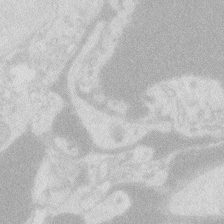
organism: Zebrafish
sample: Macrophage